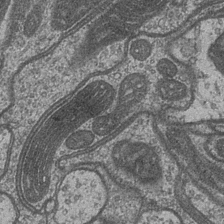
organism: Drosophila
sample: Optic medulla